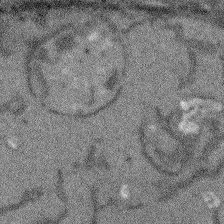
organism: Arabidopsis thaliana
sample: Root tip